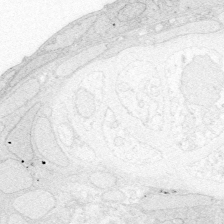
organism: Zebrafish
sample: Whole-Brain